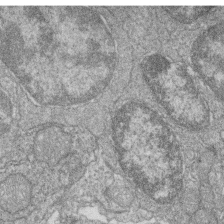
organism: Zebrafish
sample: Cilia; retinal pigment epithelium